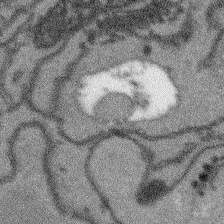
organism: Arabidopsis thaliana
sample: Root tip